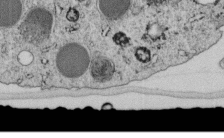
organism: C. elegans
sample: C. elegans embryo early stage